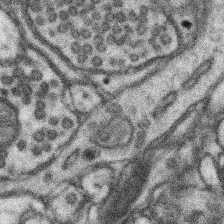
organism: Mouse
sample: Somatosensory cortex neuropil